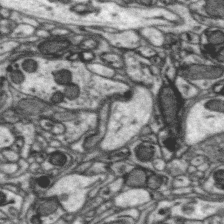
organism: Zebra finch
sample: Brain